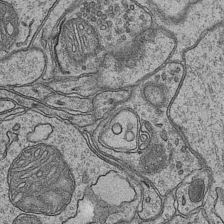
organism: Mouse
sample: CA1 Hippocampus